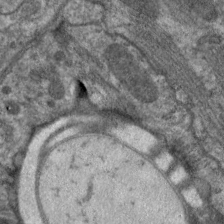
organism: C. elegans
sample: Pharynx